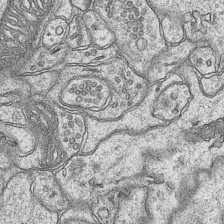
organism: Mouse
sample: CA1 Hippocampus